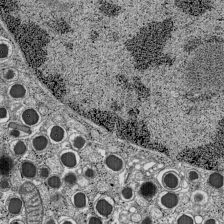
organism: C57BL Mouse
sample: Pancreatic islet